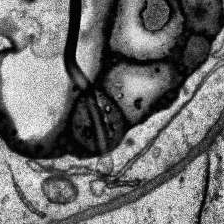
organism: Human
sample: Temporal Lobe